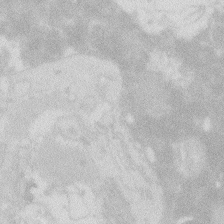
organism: Zebrafish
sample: Macrophage